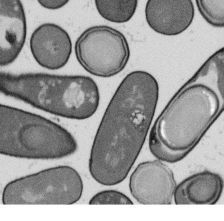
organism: B. subtilis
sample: Bacterial spore